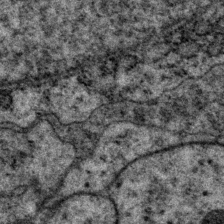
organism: P. pacificus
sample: Pharynx